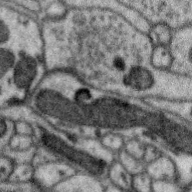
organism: Zebra finch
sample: Brain